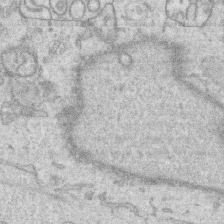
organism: Human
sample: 1205lu cells